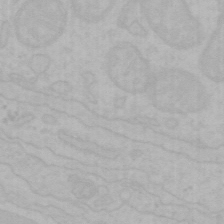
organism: Mouse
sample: Choroid plexus